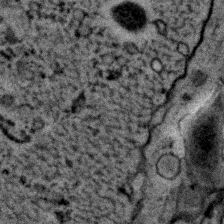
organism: C. elegans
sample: C. elegans embryo